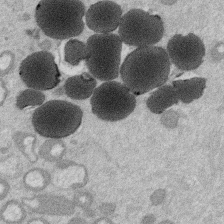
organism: Mouse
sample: Dividing mouse embryo 1 cell stage